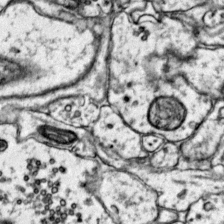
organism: Mouse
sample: Primary visual cortex